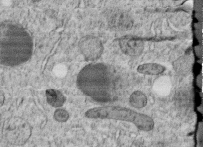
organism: C. elegans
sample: C. elegans embryo early stage